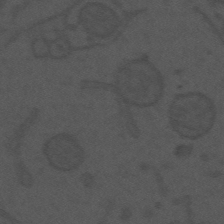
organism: Mouse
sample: Suprachiasmatic nucleus